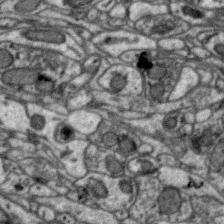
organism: Zebra finch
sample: Brain